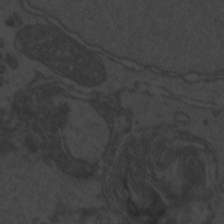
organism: Zebrafish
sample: Macrophage infected with Toxoplasma gondii